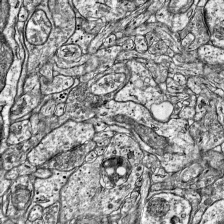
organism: Mouse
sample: Visual Cortex